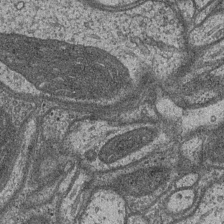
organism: Drosophila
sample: Optic medulla